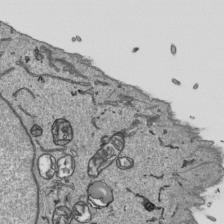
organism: Human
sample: Mitochondria in HCT116 cells